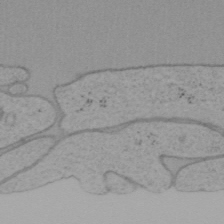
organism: Human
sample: HeLa cells